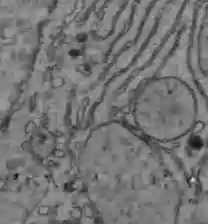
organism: C57BL Mouse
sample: Liver